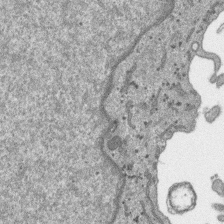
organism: Human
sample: Lung epithelial cells infected with SARS-CoV-2